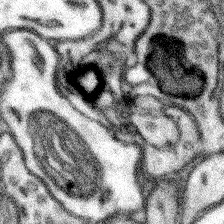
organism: Mouse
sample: Somatosensory cortex neuropil